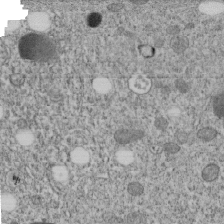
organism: C. elegans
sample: C. elegans embryo early stage